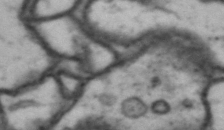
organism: Drosophila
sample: Brain